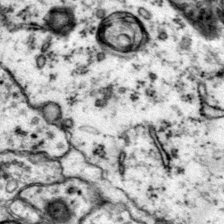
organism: Mouse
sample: Primary visual cortex